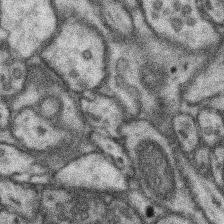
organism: Mouse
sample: Somatosensory cortex neuropil